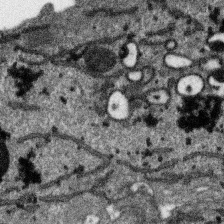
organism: Human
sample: Lung epithelial cells infected with SARS-CoV-2